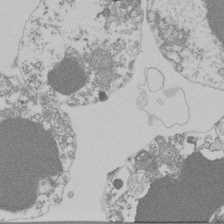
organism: Mouse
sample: Activated Pmel transgenic CD8+ T Cells